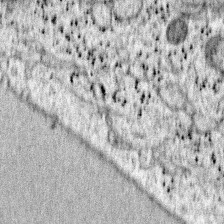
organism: Human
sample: HeLa cells